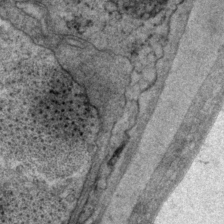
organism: P. pacificus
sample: Pharynx